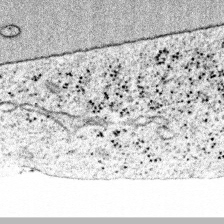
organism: Human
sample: HeLa cells